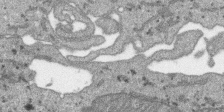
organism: Human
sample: Lung epithelial cells infected with SARS-CoV-2